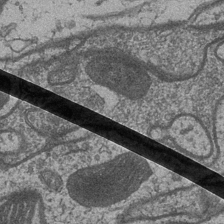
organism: Drosophila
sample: Optic medulla